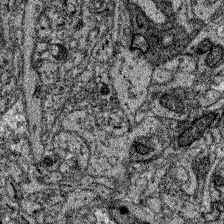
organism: Zebrafish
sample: Larval olfactory bulb